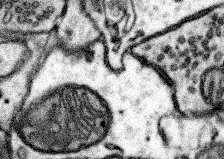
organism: Mouse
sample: Somatosensory cortex neuropil